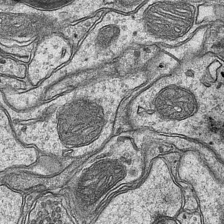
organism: Mouse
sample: CA1 Hippocampus